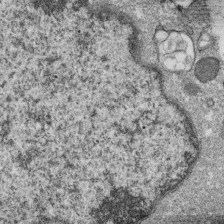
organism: African green monkey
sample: Vero E6 cells infected with SARS-CoV-2